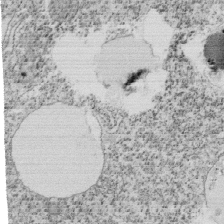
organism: Tetrahymena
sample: Cilia in tetrahymena